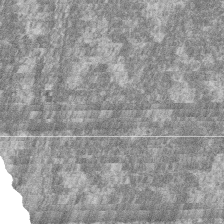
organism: Zebrafish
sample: Cilia; retinal pigment epithelium